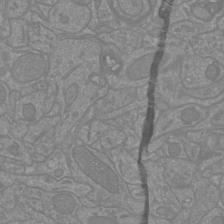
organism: Mouse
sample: Cortical neurons